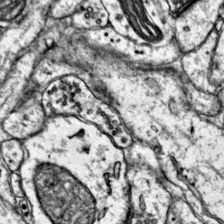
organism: Mouse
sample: Primary visual cortex